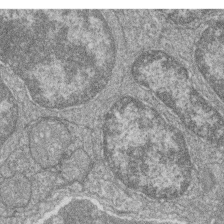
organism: Zebrafish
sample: Cilia; retinal pigment epithelium